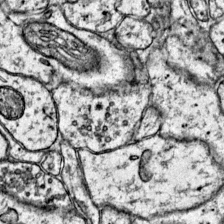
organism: Mouse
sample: Primary visual cortex